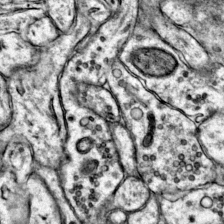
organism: Mouse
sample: Primary visual cortex